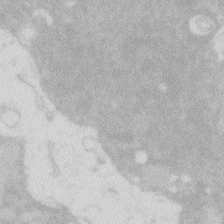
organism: Zebrafish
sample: Macrophage